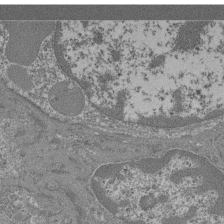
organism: Mouse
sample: Glomerulus